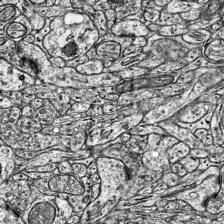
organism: Mouse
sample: Visual Cortex